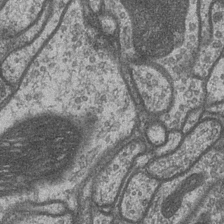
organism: Drosophila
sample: Optic medulla